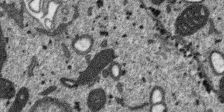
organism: Human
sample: Lung epithelial cells infected with SARS-CoV-2